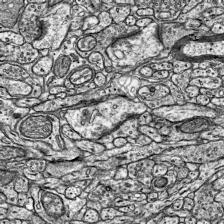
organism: Mouse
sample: Visual Cortex